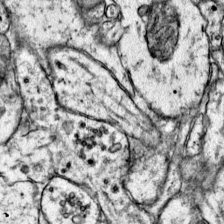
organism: Mouse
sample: Primary visual cortex